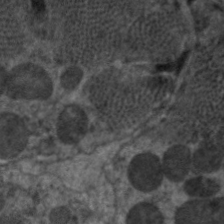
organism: C. elegans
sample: Pharynx